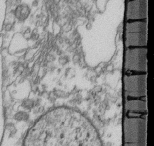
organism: Mouse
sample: Cilia; retinal pigment epithelium